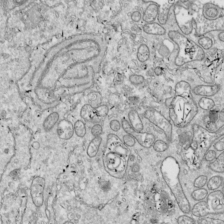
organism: Drosophila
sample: Cell division; meiosis; drosophila spermatocytes